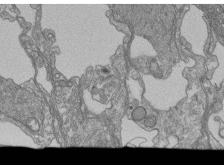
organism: Human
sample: Retinal organoid Rod and Cone cells